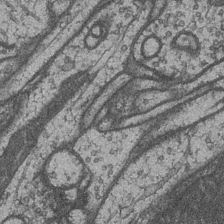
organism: Drosophila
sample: Optic medulla